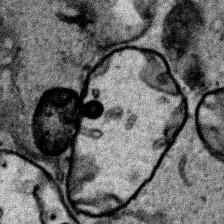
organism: Human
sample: Mitochondria in HCT116 cells